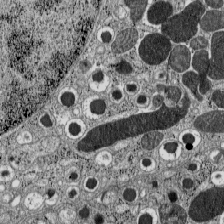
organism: C57BL Mouse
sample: Pancreatic islet